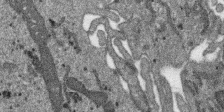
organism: Human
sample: Lung epithelial cells infected with SARS-CoV-2